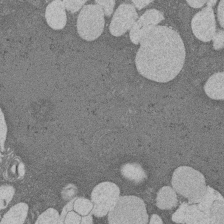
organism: Rat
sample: Salivary granule